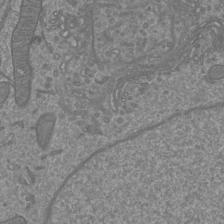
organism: Mouse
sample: Cortical neurons